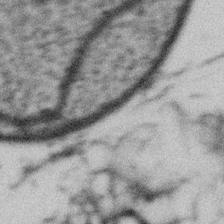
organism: Gemmata obscuriglobus